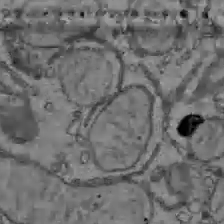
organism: C57BL Mouse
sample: Liver